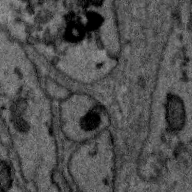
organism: Zebra finch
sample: Brain